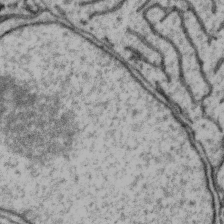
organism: Zebra finch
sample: Brain